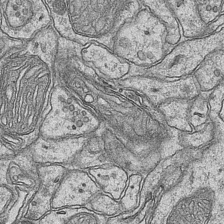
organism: Mouse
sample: CA1 Hippocampus